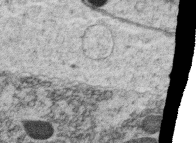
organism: C. elegans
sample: C. elegans oocyte; sperm cells